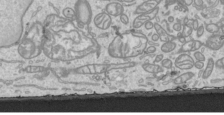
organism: Human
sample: Mitochondria in HCT116 cells